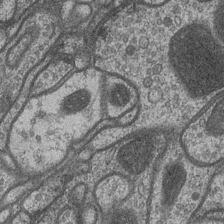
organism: Drosophila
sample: Optic medulla